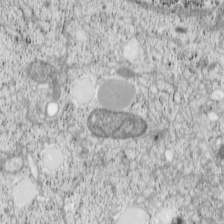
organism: African green monkey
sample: COS-7 cells